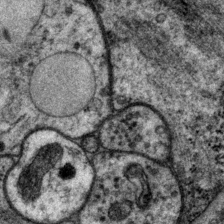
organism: P. pacificus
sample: Pharynx